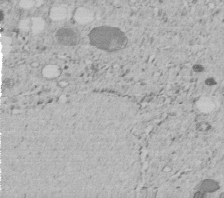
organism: C. elegans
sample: C. elegans embryo early stage